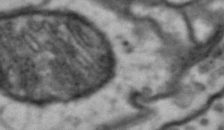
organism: Drosophila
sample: Brain